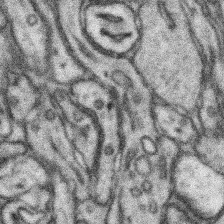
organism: Mouse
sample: Somatosensory cortex neuropil